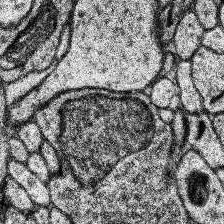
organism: Human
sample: Temporal Lobe